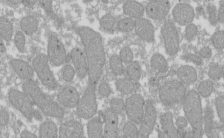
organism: Xenopus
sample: Cilia; centrioles in frog embryo cells